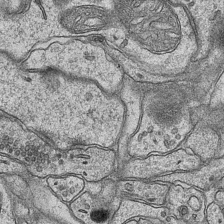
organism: Mouse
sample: CA1 Hippocampus